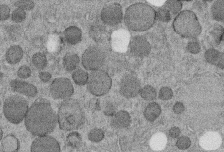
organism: C. elegans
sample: C. elegans embryo early stage